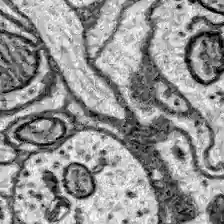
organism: Zebrafish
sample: Brain